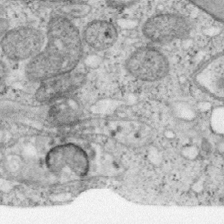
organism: Mouse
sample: OT-I killer T cells with ID8 ovarian cancer cells